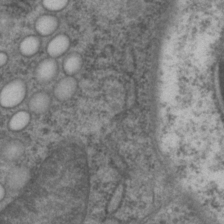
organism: P. pacificus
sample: Pharynx